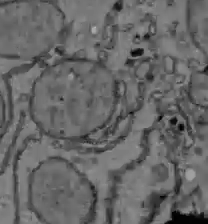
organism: C57BL Mouse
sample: Liver